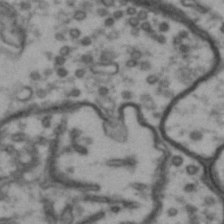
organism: Drosophila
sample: Brain